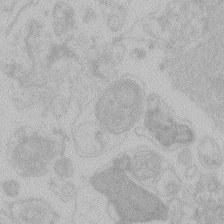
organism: Zebrafish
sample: Macrophage infected with Toxoplasma gondii